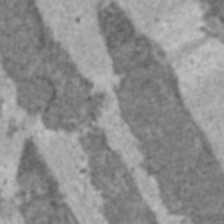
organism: C57BL Mouse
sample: Heart